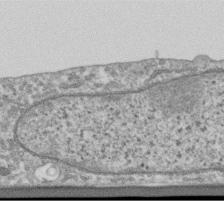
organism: Human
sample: Centriole in RPE cells